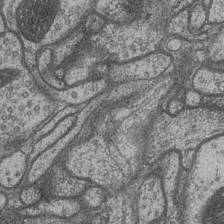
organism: Drosophila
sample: Optic medulla